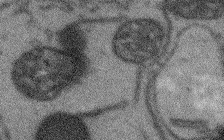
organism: Arabidopsis thaliana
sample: Root tip